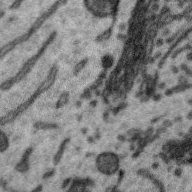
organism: Zebra finch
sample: Brain